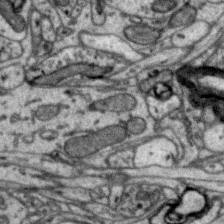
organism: Zebra finch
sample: Brain